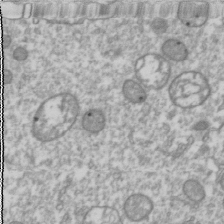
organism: Drosophila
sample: Cell division; meiosis; drosophila spermatocytes